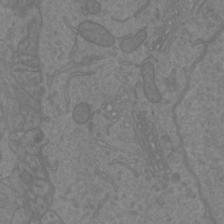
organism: Mouse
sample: Cortical neurons